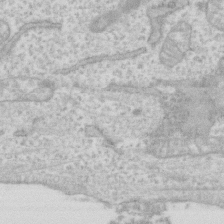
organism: Human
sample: Fibroblast cells